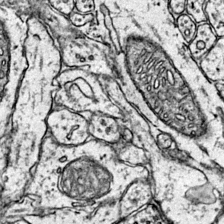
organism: Mouse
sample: Primary visual cortex